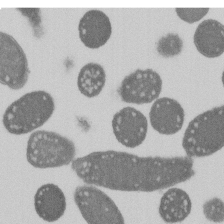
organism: E. coli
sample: Bacterial nucleoid